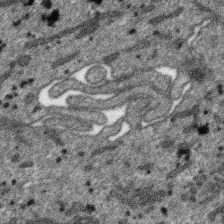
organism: Human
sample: Lung epithelial cells infected with SARS-CoV-2